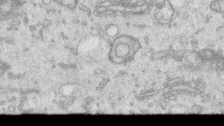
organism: Human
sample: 1205lu cells